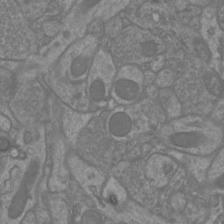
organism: Mouse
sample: Cortical neurons